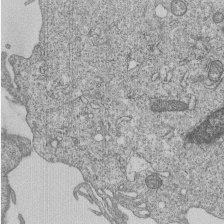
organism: Human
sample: MDA-MB-231 cells